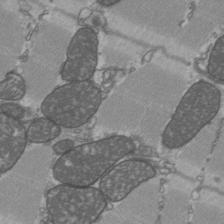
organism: C57BL Mouse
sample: Heart